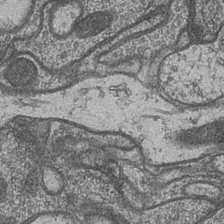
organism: Drosophila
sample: Optic medulla